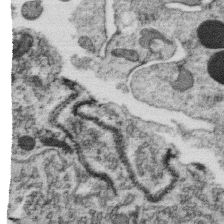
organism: C. elegans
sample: C. elegans oocyte; sperm cells